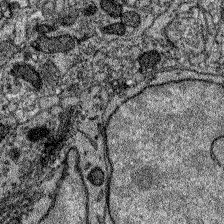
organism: Zebrafish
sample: Larval olfactory bulb